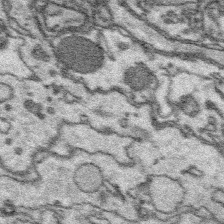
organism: Platynereis dumerilii